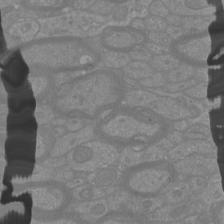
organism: Mouse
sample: Cortical neurons